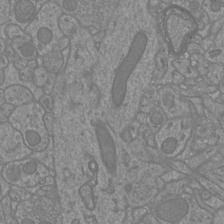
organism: Mouse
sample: Cortical neurons